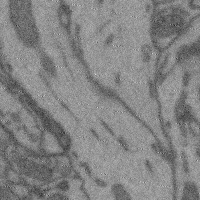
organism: Mouse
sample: Cerebral cortex